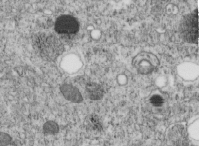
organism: C. elegans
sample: C. elegans embryo early stage